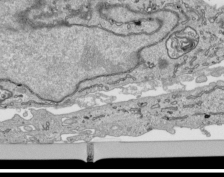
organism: Human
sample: Mitochondria in HCT116 cells